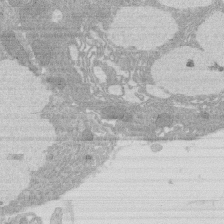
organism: Rat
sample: Salivary granule